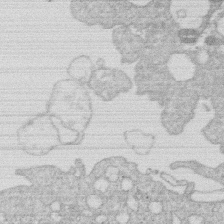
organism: Human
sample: Macrophage cells